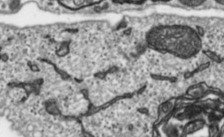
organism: Toxoplasma gondii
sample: Parasites in a vacuole inside a host cell